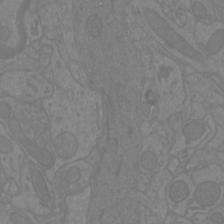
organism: Mouse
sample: Cortical neurons